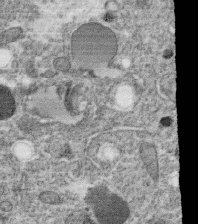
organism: C. elegans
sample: C. elegans oocyte; sperm cells